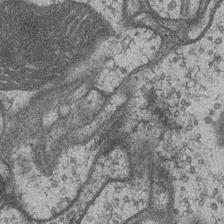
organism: Drosophila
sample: Optic medulla